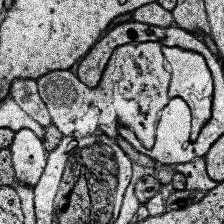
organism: Human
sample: Temporal Lobe